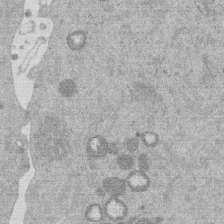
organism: Mouse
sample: Dividing mouse embryo 1 cell stage